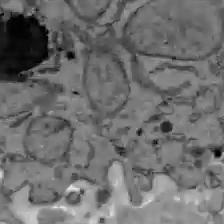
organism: C57BL Mouse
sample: Liver